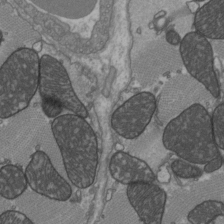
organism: C57BL Mouse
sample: Heart